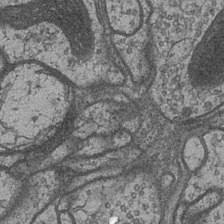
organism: Drosophila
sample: Optic medulla